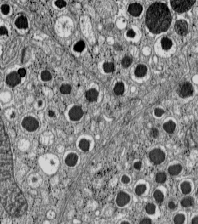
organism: C57BL Mouse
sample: Pancreatic islet